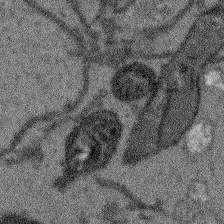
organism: Arabidopsis thaliana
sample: Root tip